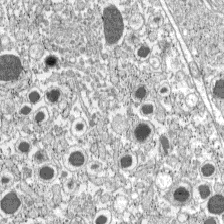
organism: C57BL Mouse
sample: Pancreatic islet